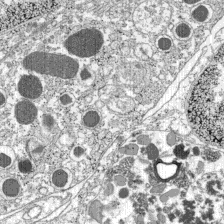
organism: C57BL Mouse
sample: Pancreatic islet